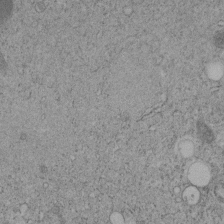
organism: C. elegans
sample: C. elegans embryo early stage